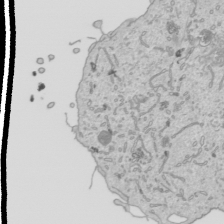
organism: Human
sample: Mitochondria in HCT116 cells